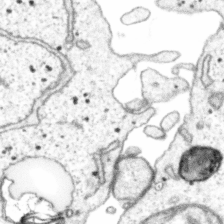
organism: Human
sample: HeLa cells